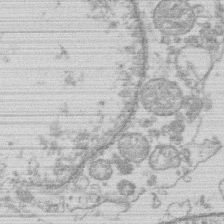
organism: Human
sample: Macrophage cells